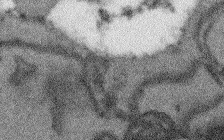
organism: Arabidopsis thaliana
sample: Root tip